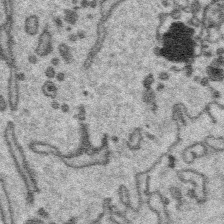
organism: Platynereis dumerilii